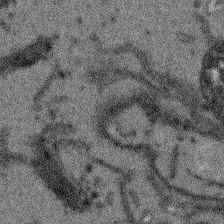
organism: Arabidopsis thaliana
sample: Root tip